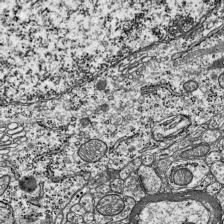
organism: Mouse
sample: Visual Cortex